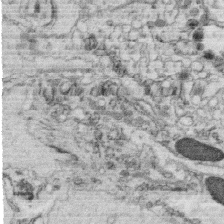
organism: C. elegans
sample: C. elegans oocyte; sperm cells